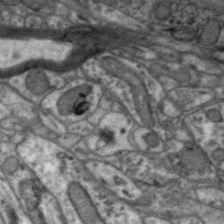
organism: Zebra finch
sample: Brain